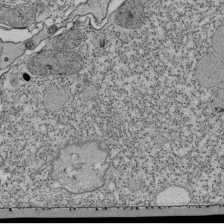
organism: Tetrahymena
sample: Cilia in tetrahymena